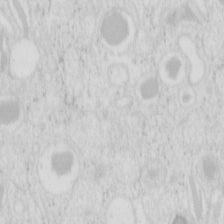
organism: Mouse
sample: Pancreas